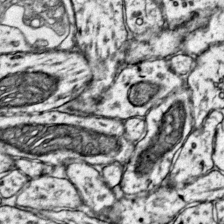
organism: Mouse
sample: Primary visual cortex